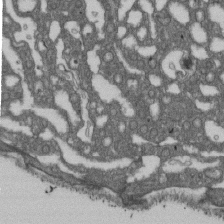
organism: Drosophila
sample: Nephrocyte